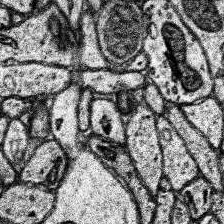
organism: Human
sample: Temporal Lobe